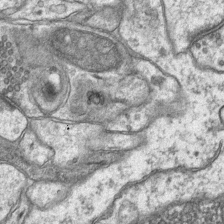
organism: Mouse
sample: CA1 Hippocampus